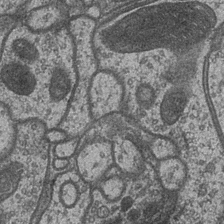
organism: Drosophila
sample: Optic medulla